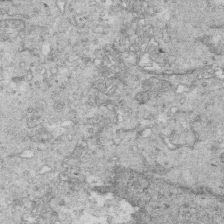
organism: Mouse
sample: Multiciliated cells